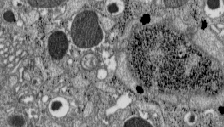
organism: C57BL Mouse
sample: Pancreatic islet